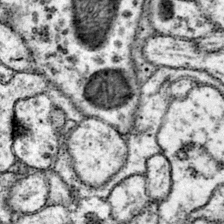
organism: Mouse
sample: Primary visual cortex